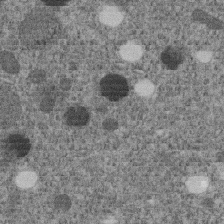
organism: C. elegans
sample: C. elegans embryo early stage